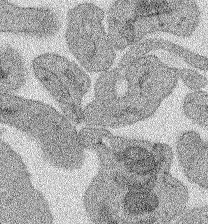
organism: Human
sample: HeLa cells